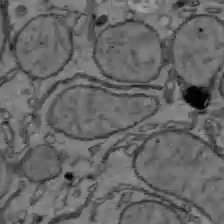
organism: C57BL Mouse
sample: Liver